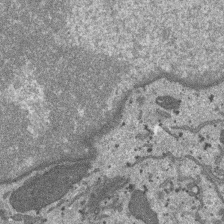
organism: Human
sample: Lung epithelial cells infected with SARS-CoV-2